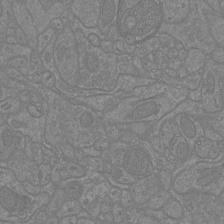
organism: Mouse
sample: Cortical neurons